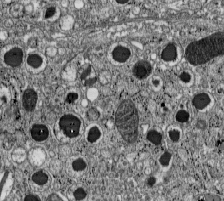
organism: C57BL Mouse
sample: Pancreatic islet